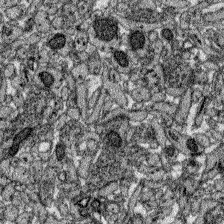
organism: Zebrafish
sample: Larval olfactory bulb